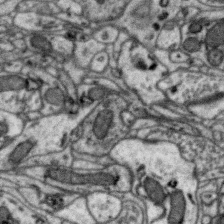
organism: Zebra finch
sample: Brain